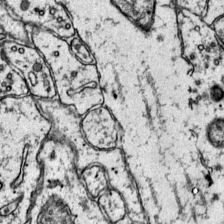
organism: Mouse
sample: Primary visual cortex